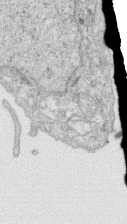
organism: Human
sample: HeLa cell HIV synapse